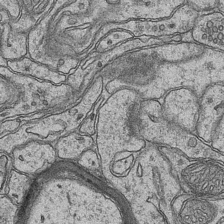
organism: Mouse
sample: CA1 Hippocampus